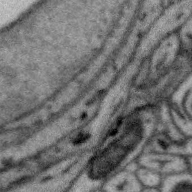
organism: Zebra finch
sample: Brain